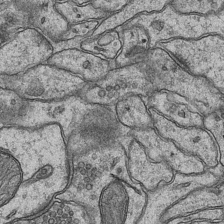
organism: Mouse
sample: CA1 Hippocampus